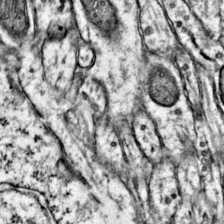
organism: Mouse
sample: Primary visual cortex